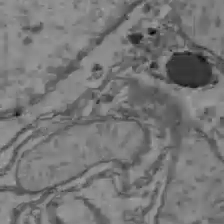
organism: C57BL Mouse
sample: Liver